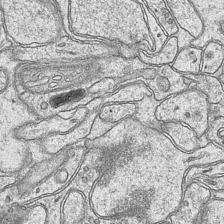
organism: Mouse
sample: CA1 Hippocampus